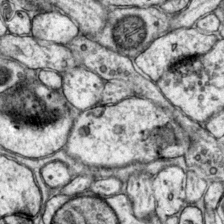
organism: Mouse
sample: Primary visual cortex